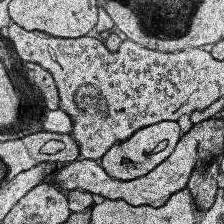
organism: Human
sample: Temporal Lobe